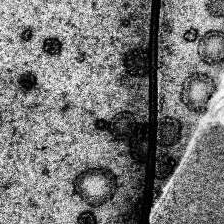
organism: Human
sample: Temporal Lobe